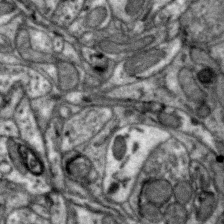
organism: Zebra finch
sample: Brain